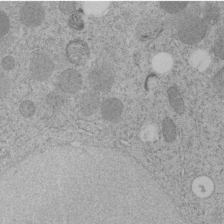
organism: C. elegans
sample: C. elegans embryo early stage